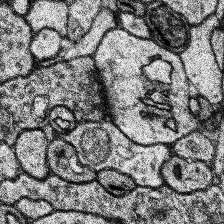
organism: Human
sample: Temporal Lobe